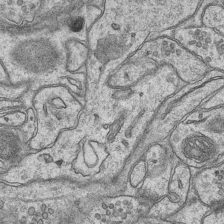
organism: Mouse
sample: CA1 Hippocampus